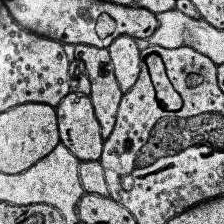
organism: Human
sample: Temporal Lobe